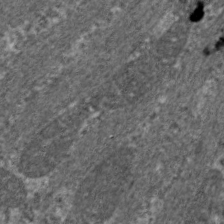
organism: C. elegans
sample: Pharynx